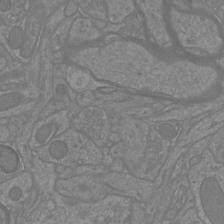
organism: Mouse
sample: Cortical neurons